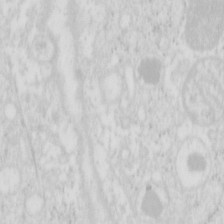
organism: Mouse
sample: Pancreas